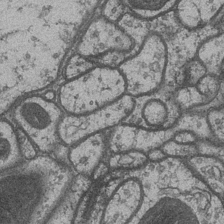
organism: Drosophila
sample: Optic medulla